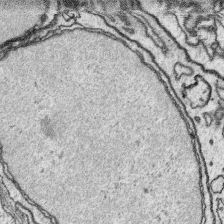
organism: Platynereis dumerilii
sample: Parapodia